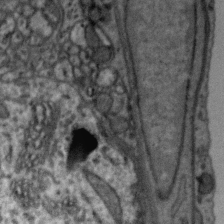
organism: Zebra finch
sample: Brain